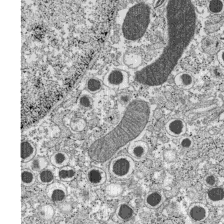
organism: C57BL Mouse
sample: Pancreatic islet